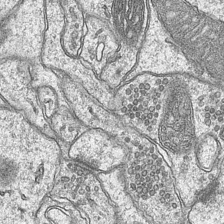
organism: Mouse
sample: CA1 Hippocampus